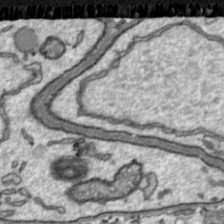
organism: Toxoplasma gondii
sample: Parasites in a vacuole inside a host cell